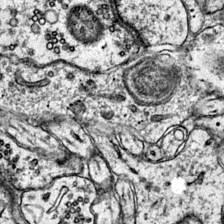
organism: Mouse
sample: Primary visual cortex